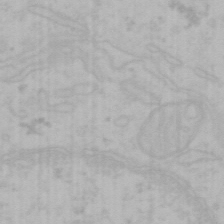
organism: Mouse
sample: Choroid plexus